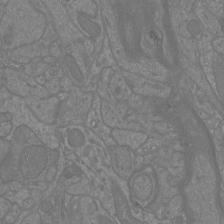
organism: Mouse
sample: Cortical neurons